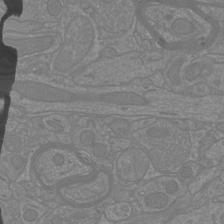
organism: Mouse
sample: Cortical neurons